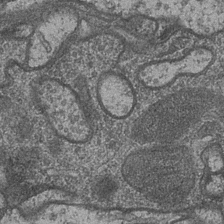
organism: Drosophila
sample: Optic medulla